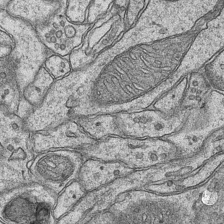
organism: Mouse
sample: CA1 Hippocampus